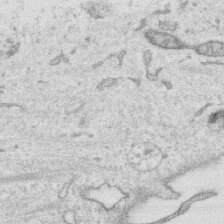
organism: Human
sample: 1205lu cells